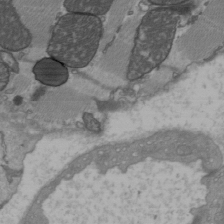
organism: C57BL Mouse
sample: Heart